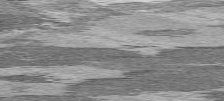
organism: C57BL Mouse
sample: Heart